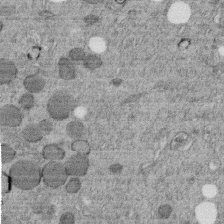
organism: C. elegans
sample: C. elegans embryo early stage